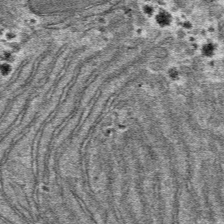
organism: Mouse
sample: Mouse hepatocytes